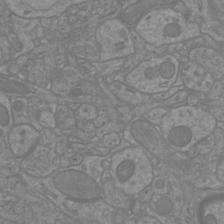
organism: Mouse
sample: Cortical neurons